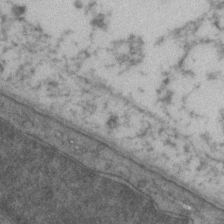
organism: Zebrafish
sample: Zebrafish embryo